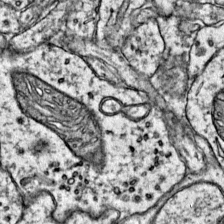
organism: Mouse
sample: Primary visual cortex